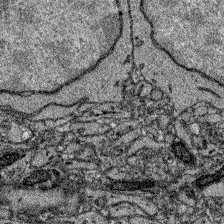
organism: Zebrafish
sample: Larval olfactory bulb